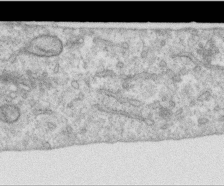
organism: Human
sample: Centriole in RPE cells